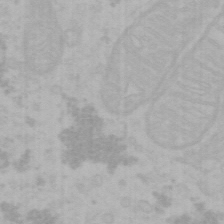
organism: Mouse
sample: Choroid plexus